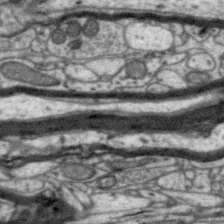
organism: Zebra finch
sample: Brain